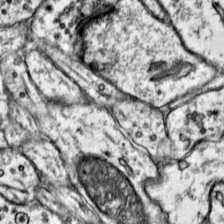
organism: Mouse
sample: Primary visual cortex